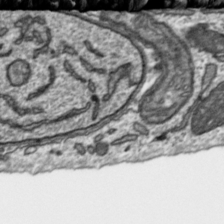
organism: Toxoplasma gondii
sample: Parasites in a vacuole inside a host cell